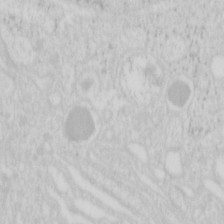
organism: Mouse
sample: Pancreas